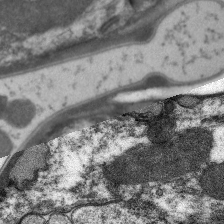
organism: C. elegans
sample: Pharynx